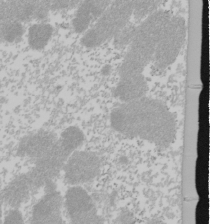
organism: Mouse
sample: Cancer cell death in ED-1 cells